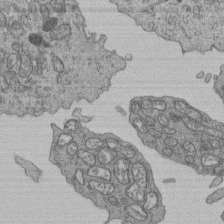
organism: Human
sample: Retinal organoid Rod and Cone cells